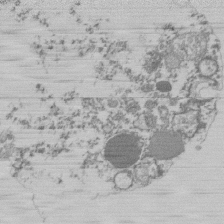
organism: Mouse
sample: Activated Pmel transgenic CD8+ T Cells